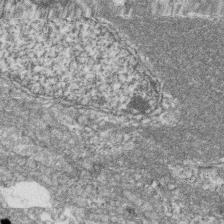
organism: Zebrafish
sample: Cilia; retinal pigment epithelium